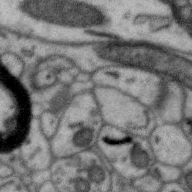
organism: Zebra finch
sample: Brain